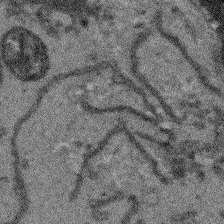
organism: Arabidopsis thaliana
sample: Root tip